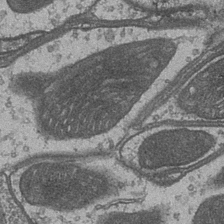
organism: Drosophila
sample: Optic medulla